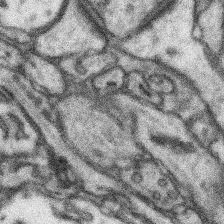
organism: Mouse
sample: Somatosensory cortex neuropil